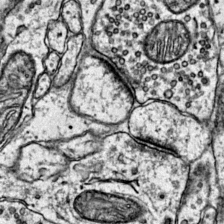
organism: Mouse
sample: Primary visual cortex